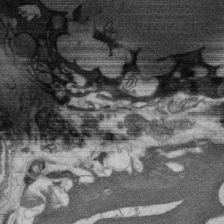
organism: Rat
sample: Salivary granule